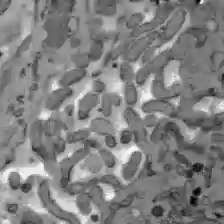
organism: C57BL Mouse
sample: Liver